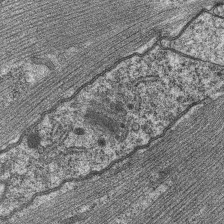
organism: C. elegans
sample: Pharynx